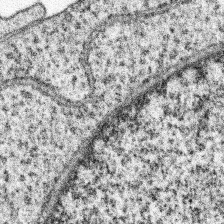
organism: Human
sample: HeLa cells